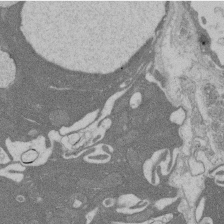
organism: Rat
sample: Salivary granule